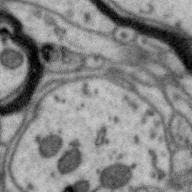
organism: Zebra finch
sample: Brain